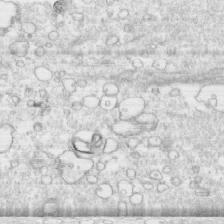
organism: Human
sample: CRL-1474